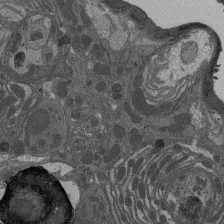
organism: Drosophila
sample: Antenna